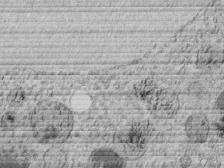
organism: C. elegans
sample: C. elegans embryo early stage